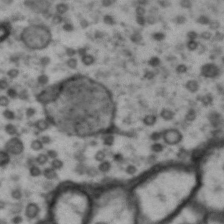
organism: Drosophila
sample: Brain